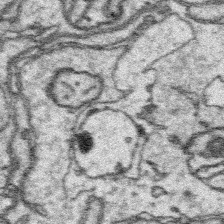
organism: Platynereis dumerilii